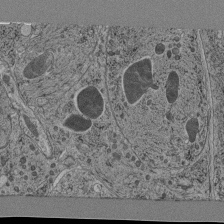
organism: C. elegans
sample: C. elegans pharynx